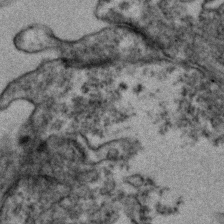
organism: Zebrafish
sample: Zebrafish embryo